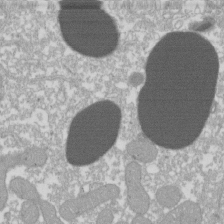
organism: Xenopus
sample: Cilia; centrioles in frog embryo cells